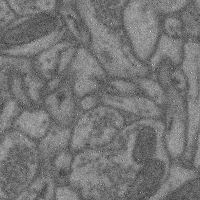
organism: Mouse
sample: Cerebral cortex